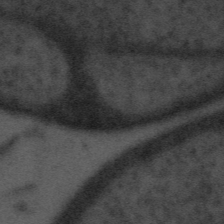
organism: Tuwongella immobilis